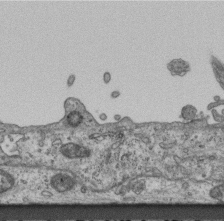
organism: Mouse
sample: Centriole in ependymal cells